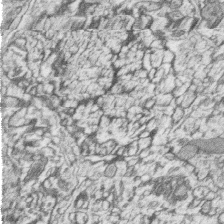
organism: Zebrafish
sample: synaptic ribbons in rod cells and cone cells